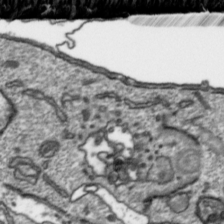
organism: Toxoplasma gondii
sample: Parasites in a vacuole inside a host cell